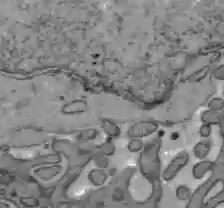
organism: C57BL Mouse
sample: Liver